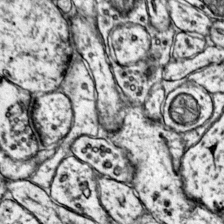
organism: Mouse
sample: Primary visual cortex